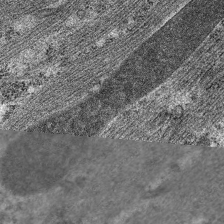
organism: C. elegans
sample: Pharynx